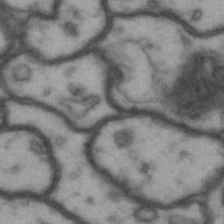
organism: Drosophila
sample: Brain